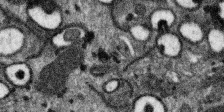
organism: Human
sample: Lung epithelial cells infected with SARS-CoV-2